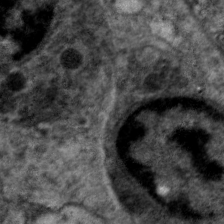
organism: C. elegans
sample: Pharynx